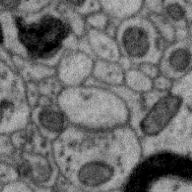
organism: Zebra finch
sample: Brain